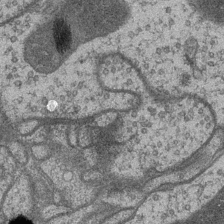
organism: Drosophila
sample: Optic medulla